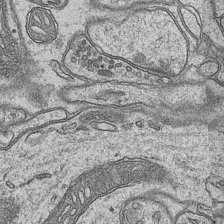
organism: Mouse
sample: CA1 Hippocampus